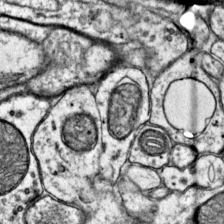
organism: Mouse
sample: Primary visual cortex